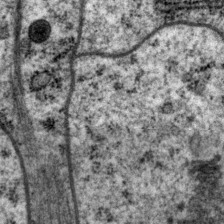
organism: P. pacificus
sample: Pharynx